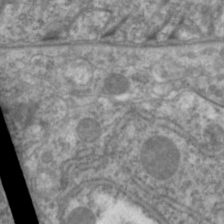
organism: C. elegans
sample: Pharynx